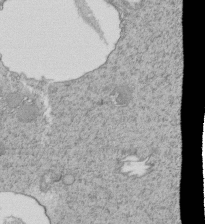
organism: Tetrahymena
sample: Cilia in tetrahymena